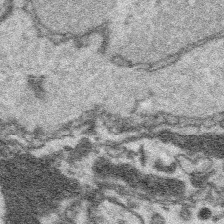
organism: Platynereis dumerilii